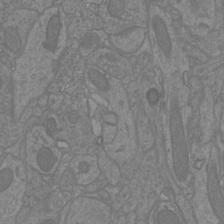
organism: Mouse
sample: Cortical neurons